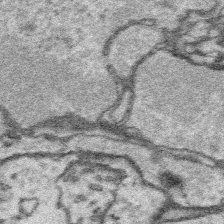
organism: Platynereis dumerilii